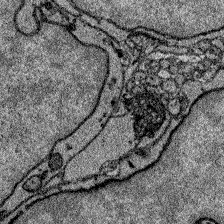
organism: Zebrafish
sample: Larval olfactory bulb